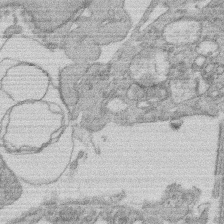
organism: Rat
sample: Salivary granule